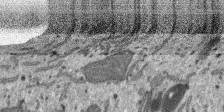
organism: Human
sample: Lung epithelial cells infected with SARS-CoV-2